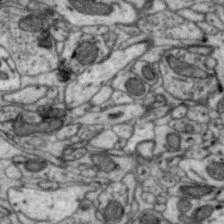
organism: Zebra finch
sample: Brain